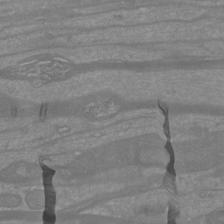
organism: Mouse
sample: Cortical neurons